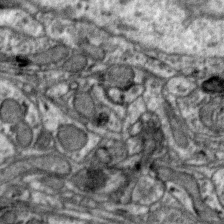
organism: Zebra finch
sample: Brain